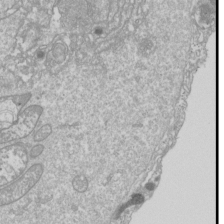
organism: Drosophila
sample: Cell division; meiosis; drosophila spermatocytes